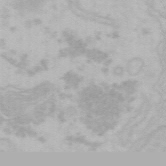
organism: Mouse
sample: Choroid plexus